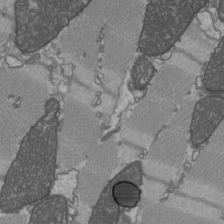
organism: C57BL Mouse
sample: Heart